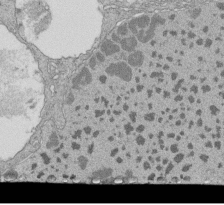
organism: Tetrahymena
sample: Cilia in tetrahymena